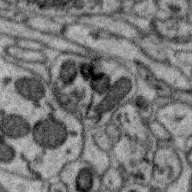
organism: Zebra finch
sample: Brain